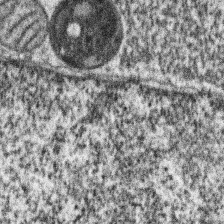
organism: Human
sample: HeLa cells